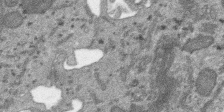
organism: Human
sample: Lung epithelial cells infected with SARS-CoV-2